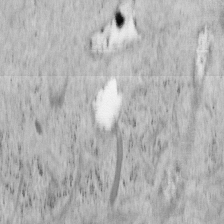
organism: Human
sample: HeLa cells